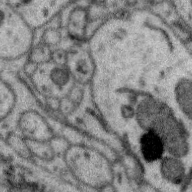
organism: Zebra finch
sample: Brain